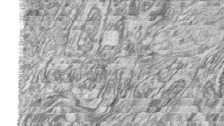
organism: Zebrafish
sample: synaptic ribbons in rod cells and cone cells